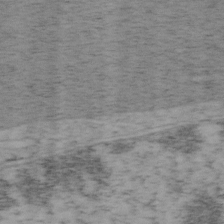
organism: Mouse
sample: OT-I killer T cells with ID8 ovarian cancer cells